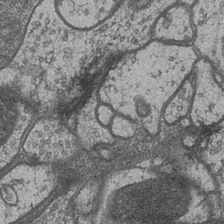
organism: Drosophila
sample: Optic medulla